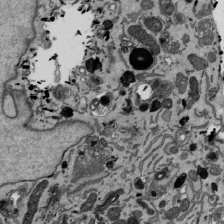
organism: Mouse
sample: ED-1 cell nuclei; centrioles